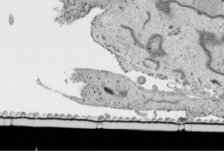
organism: Human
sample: Mitochondria in HCT116 cells